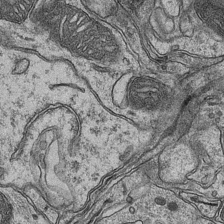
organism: Mouse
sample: CA1 Hippocampus